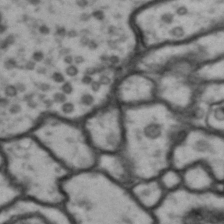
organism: Drosophila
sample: Brain